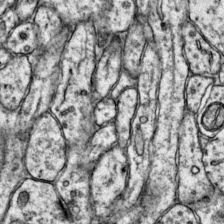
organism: Mouse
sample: Primary visual cortex